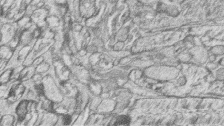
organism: Zebrafish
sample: synaptic ribbons in rod cells and cone cells